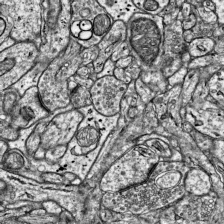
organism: Mouse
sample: Visual Cortex